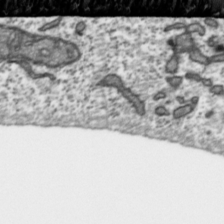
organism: Toxoplasma gondii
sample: Parasites in a vacuole inside a host cell